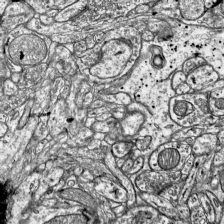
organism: Mouse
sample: Visual Cortex